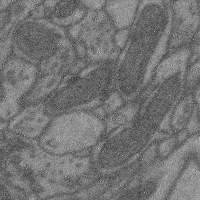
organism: Mouse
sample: Cerebral cortex